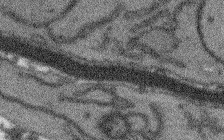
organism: Arabidopsis thaliana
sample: Root tip